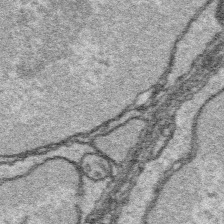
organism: Platynereis dumerilii